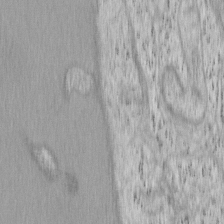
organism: Human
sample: HeLa cells